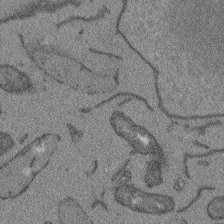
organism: Arabidopsis thaliana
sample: Root tip